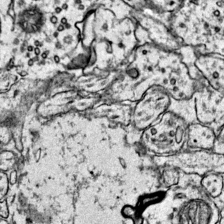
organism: Mouse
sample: Primary visual cortex